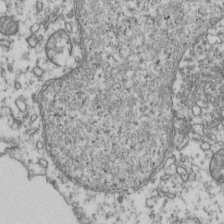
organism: Human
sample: Activated Jurkat CD4+ T cells